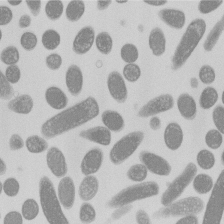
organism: E. coli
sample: Bacterial nucleoid